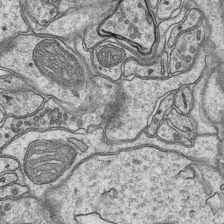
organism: Mouse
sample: CA1 Hippocampus